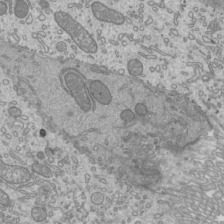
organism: Mouse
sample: Cilia; mouse epididymis